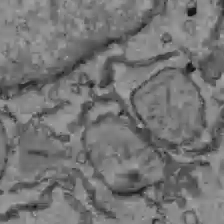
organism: C57BL Mouse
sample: Liver